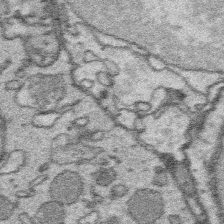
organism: Platynereis dumerilii